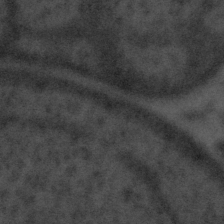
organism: Tuwongella immobilis